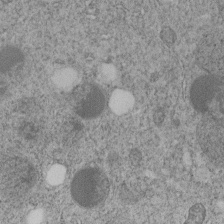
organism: C. elegans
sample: C. elegans embryo early stage